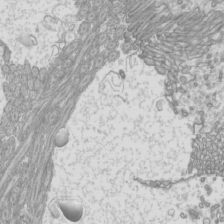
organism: Mouse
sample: Cilia; mouse epididymis